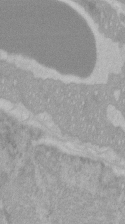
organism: C57BL Mouse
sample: Tibialis anterior muscle cell